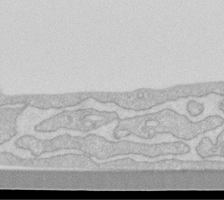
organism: Human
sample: Fibroblast cells